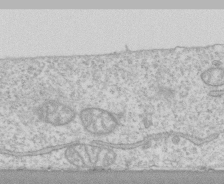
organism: Human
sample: CRL-1474